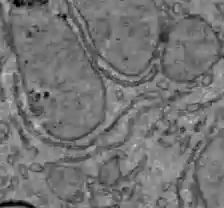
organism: C57BL Mouse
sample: Liver